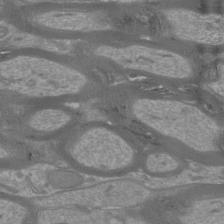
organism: Mouse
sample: Cortical neurons